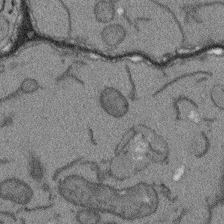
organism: Arabidopsis thaliana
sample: Root tip